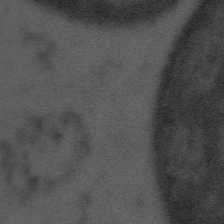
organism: Tuwongella immobilis